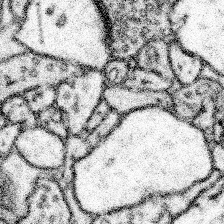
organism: Mouse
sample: Somatosensory cortex neuropil